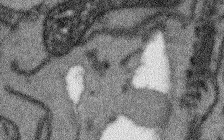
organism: Arabidopsis thaliana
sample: Root tip